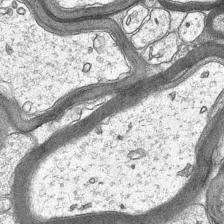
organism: Mouse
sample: CA1 Hippocampus